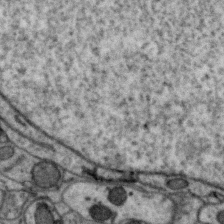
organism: Zebra finch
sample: Brain